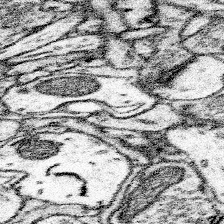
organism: Mouse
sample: Somatosensory cortex neuropil